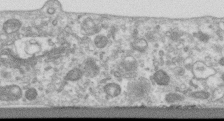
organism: Human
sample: Centriole in RPE cells